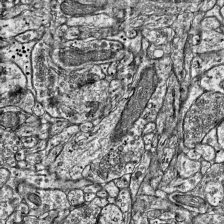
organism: Mouse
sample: Visual Cortex